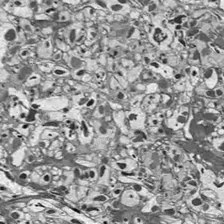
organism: Drosophila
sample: Optic lobe